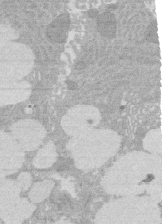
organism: Rat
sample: Salivary granule